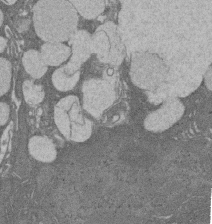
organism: Rat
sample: Salivary granule